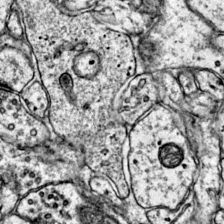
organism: Mouse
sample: Primary visual cortex